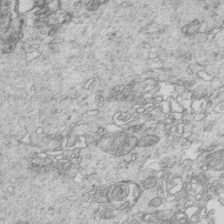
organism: Mouse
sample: Multiciliated cells